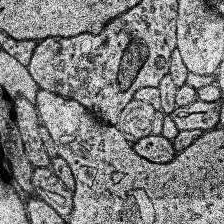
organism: Human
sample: Temporal Lobe